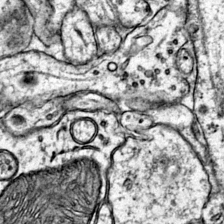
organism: Mouse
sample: Primary visual cortex